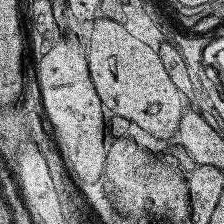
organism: Human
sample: Temporal Lobe